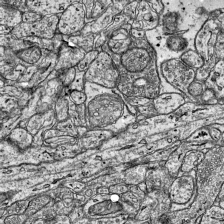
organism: Mouse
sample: Visual Cortex